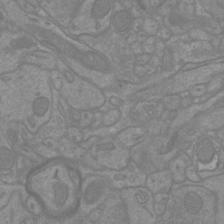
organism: Mouse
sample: Cortical neurons